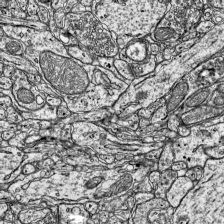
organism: Mouse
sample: Visual Cortex